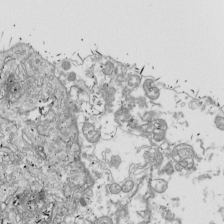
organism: Drosophila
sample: Cell division; meiosis; drosophila spermatocytes